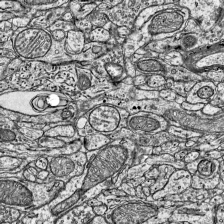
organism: Mouse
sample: Visual Cortex